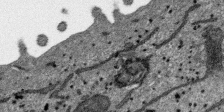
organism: Human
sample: Lung epithelial cells, uninfected (mock) control